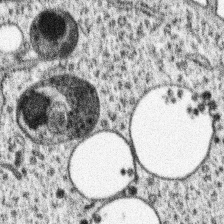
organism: Human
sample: HeLa cells